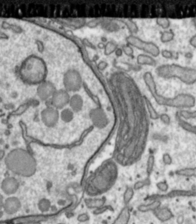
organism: Toxoplasma gondii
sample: Parasites in a vacuole inside a host cell